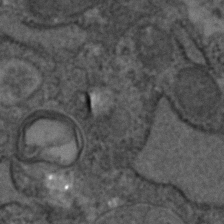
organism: Human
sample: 1205lu cells